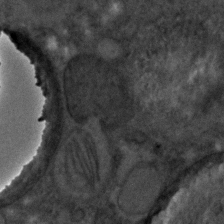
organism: C. elegans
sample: C. elegans embryo